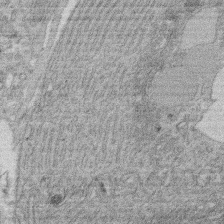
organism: Rat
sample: Salivary granule